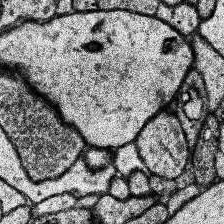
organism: Human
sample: Temporal Lobe